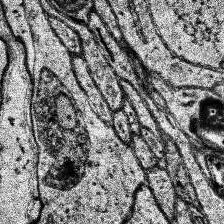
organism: Human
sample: Temporal Lobe